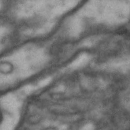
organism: Drosophila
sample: Brain